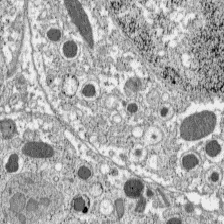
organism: C57BL Mouse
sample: Pancreatic islet